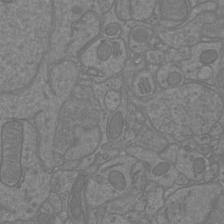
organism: Mouse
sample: Cortical neurons